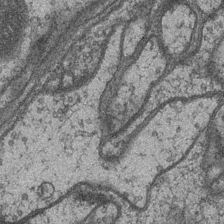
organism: Drosophila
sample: Optic medulla